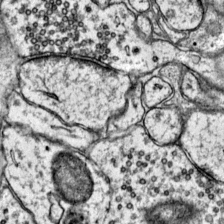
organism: Mouse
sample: Primary visual cortex